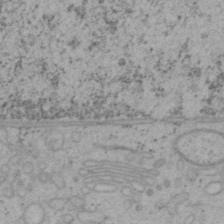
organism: Human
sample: HeLa cells